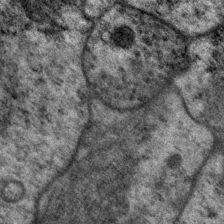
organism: P. pacificus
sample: Pharynx